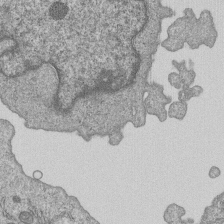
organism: Human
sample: MDA-MB-231 cells